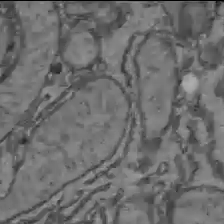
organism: C57BL Mouse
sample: Liver